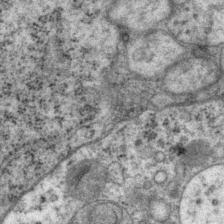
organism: P. pacificus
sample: Pharynx